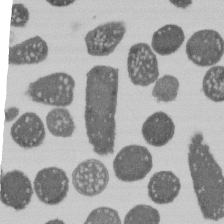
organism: E. coli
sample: Bacterial nucleoid